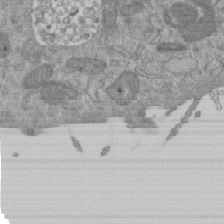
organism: Mouse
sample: ED-1 cell nuclei; centrioles